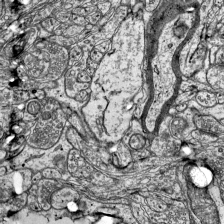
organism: Mouse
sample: Visual Cortex